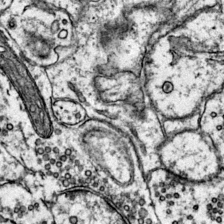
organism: Mouse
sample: Primary visual cortex